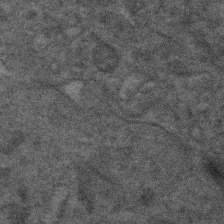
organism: Human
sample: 1205lu cells